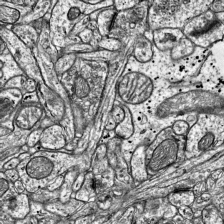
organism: Mouse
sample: Visual Cortex